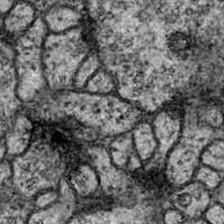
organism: Drosophila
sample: Ventral Nerve Cord